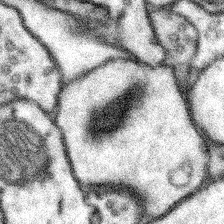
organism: Mouse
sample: Somatosensory cortex neuropil